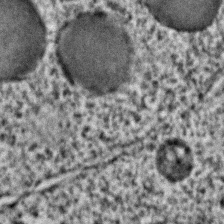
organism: C. elegans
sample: C. elegans embryo